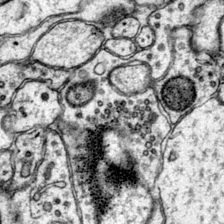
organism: Mouse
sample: Primary visual cortex